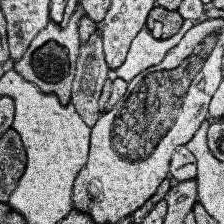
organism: Human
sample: Temporal Lobe